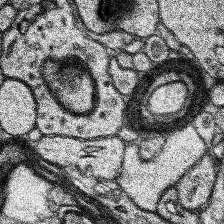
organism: Human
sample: Temporal Lobe